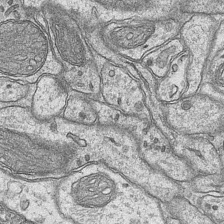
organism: Mouse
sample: CA1 Hippocampus